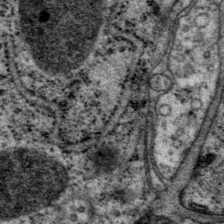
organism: P. pacificus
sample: Pharynx